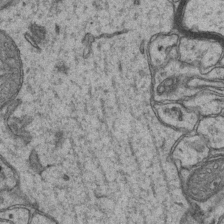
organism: Mouse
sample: CA1 Hippocampus